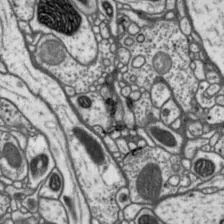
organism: Drosophila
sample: Protocerebral bridge